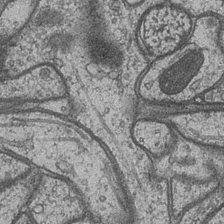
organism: Drosophila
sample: Optic medulla